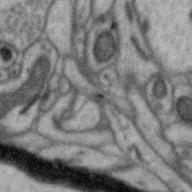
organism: Zebra finch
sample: Brain